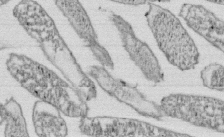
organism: E. coli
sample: Bacterial nucleoid